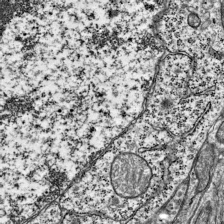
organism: Mouse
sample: Visual Cortex